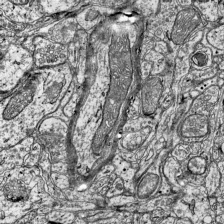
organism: Mouse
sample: Visual Cortex